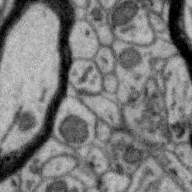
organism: Zebra finch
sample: Brain